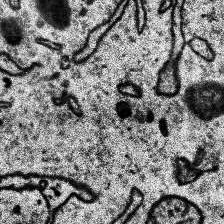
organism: Human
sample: Temporal Lobe